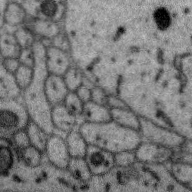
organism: Zebra finch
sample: Brain